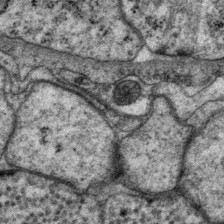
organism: P. pacificus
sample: Pharynx